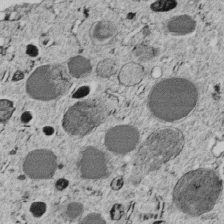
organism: C. elegans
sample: C. elegans embryo early stage